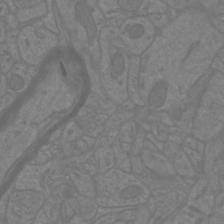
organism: Mouse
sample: Cortical neurons